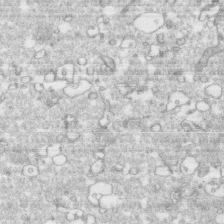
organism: Human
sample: CRL-1474